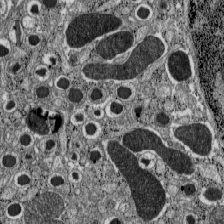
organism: C57BL Mouse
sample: Pancreatic islet